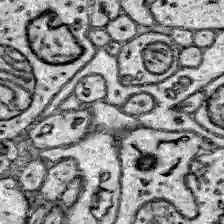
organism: Zebrafish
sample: Brain